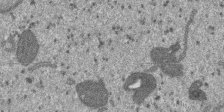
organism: Human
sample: Lung epithelial cells infected with SARS-CoV-2